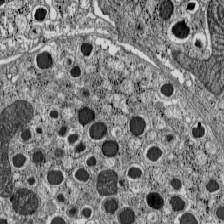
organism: C57BL Mouse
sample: Pancreatic islet